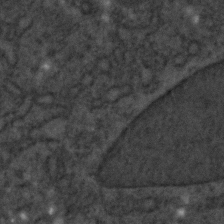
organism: C. elegans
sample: C. elegans embryo